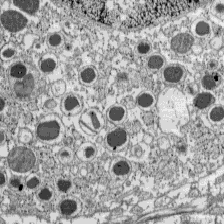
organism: C57BL Mouse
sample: Pancreatic islet